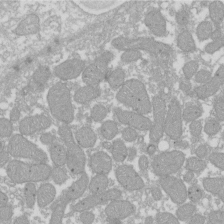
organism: Xenopus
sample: Cilia; centrioles in frog embryo cells